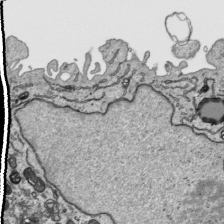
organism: Human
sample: Mitochondria in HCT116 cells